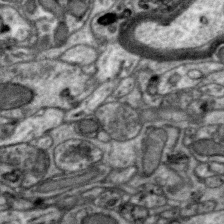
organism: Zebra finch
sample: Brain